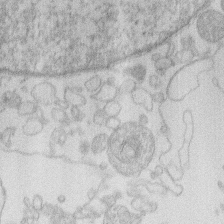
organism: Human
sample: Macrophage cells